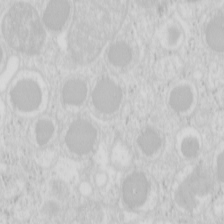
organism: Mouse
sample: Pancreas